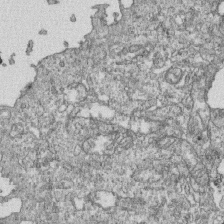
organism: Human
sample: HeLa cell HIV synapse